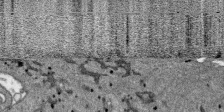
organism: Human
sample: Lung epithelial cells, uninfected (mock) control